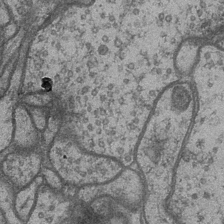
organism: Drosophila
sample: Optic medulla